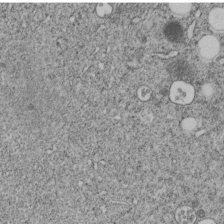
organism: C. elegans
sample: C. elegans embryo early stage